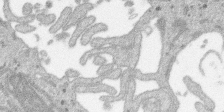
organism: Human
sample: Lung epithelial cells infected with SARS-CoV-2